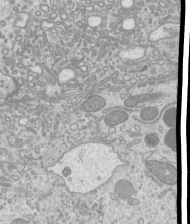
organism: Mouse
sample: Cilia; mouse epididymis